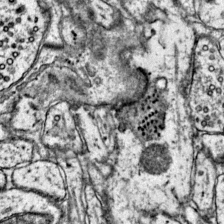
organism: Mouse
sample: Primary visual cortex